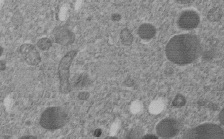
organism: C. elegans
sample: C. elegans embryo early stage